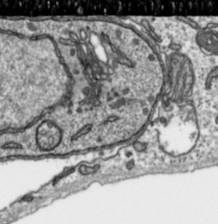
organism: Toxoplasma gondii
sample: Parasites in a vacuole inside a host cell